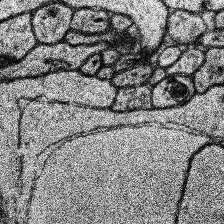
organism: Human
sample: Temporal Lobe